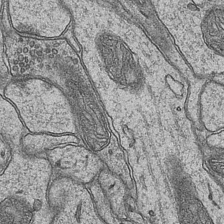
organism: Mouse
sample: CA1 Hippocampus